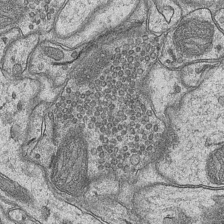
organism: Mouse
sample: CA1 Hippocampus